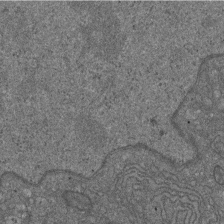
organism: Drosophila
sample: Nephrocyte